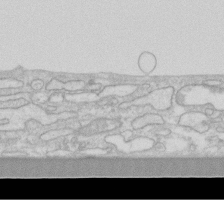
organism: Human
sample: Fibroblast cells